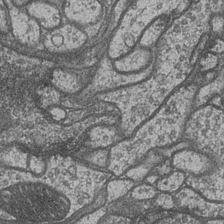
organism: Drosophila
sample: Optic medulla